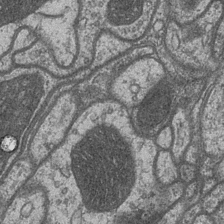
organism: Drosophila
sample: Optic medulla